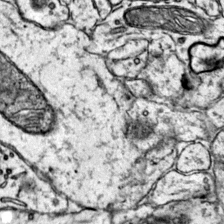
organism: Mouse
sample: Primary visual cortex